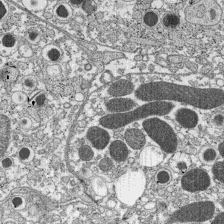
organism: C57BL Mouse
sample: Pancreatic islet